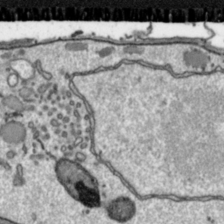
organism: Toxoplasma gondii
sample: Parasites in a vacuole inside a host cell